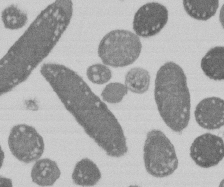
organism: E. coli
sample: Bacterial nucleoid